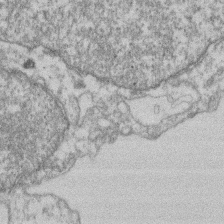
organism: Mouse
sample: T cell stromal cell synapse